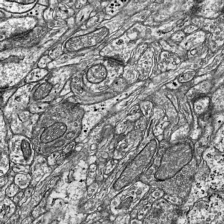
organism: Mouse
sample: Visual Cortex